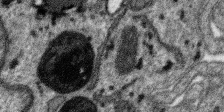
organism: Human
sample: Lung epithelial cells infected with SARS-CoV-2